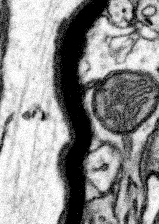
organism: Mouse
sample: Somatosensory cortex neuropil